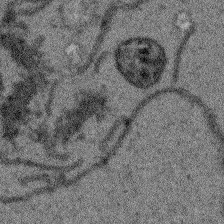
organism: Arabidopsis thaliana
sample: Root tip